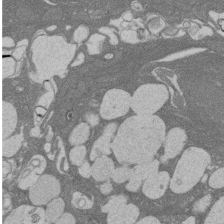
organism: Rat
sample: Salivary granule